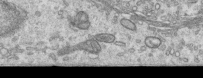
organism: Human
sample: Centriole in RPE cells